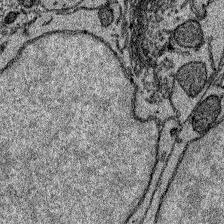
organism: Zebrafish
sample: Larval olfactory bulb